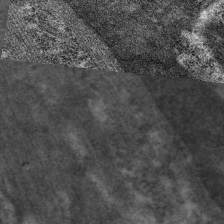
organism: C. elegans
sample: Pharynx